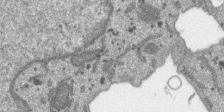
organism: Human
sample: Lung epithelial cells infected with SARS-CoV-2